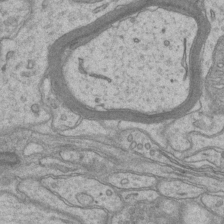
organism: Mouse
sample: CA1 Hippocampus